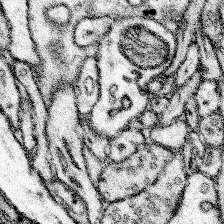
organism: Mouse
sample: Somatosensory cortex neuropil